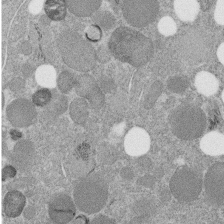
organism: C. elegans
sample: C. elegans embryo early stage